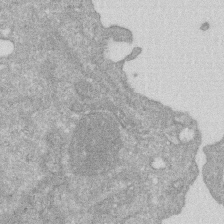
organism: Human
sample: HIV infected U937 cells